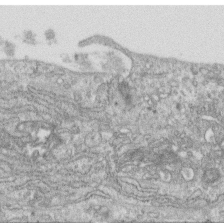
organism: Human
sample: Centriole in RPE cells